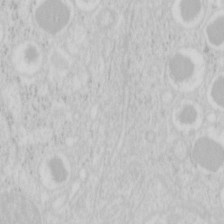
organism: Mouse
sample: Pancreas